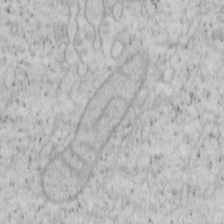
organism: Human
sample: HeLa cells